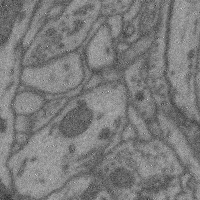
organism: Mouse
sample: Cerebral cortex